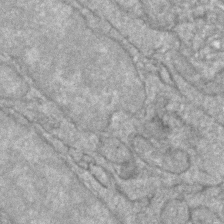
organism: Zebrafish